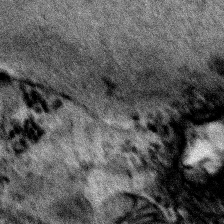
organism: Human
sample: Mitochondria in HCT116 cells